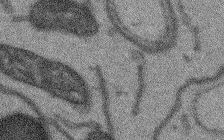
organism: Arabidopsis thaliana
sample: Root tip